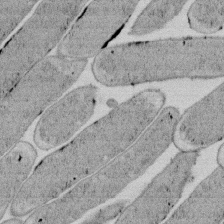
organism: E. coli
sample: Bacterial nucleoid